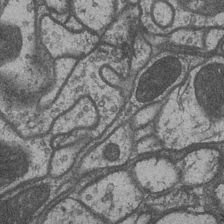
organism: Drosophila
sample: Optic medulla